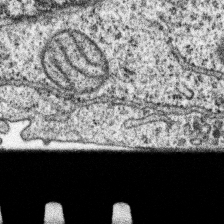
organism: Human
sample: HeLa cells